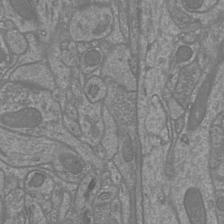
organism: Mouse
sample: Cortical neurons